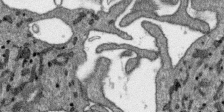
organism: Human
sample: Lung epithelial cells, uninfected (mock) control